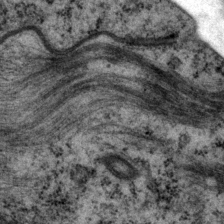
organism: P. pacificus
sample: Pharynx